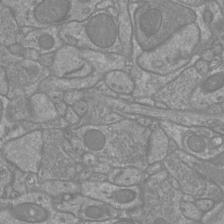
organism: Mouse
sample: Cortical neurons